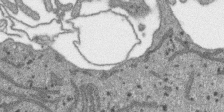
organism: Human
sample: Lung epithelial cells infected with SARS-CoV-2